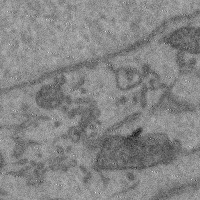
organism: Mouse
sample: Cerebral cortex